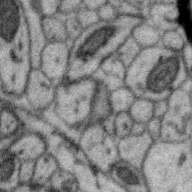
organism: Zebra finch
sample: Brain